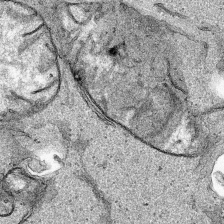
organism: Human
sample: Mitochondria in HCT116 cells